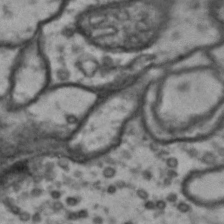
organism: Drosophila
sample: Brain